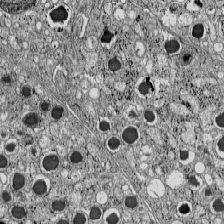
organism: C57BL Mouse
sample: Pancreatic islet